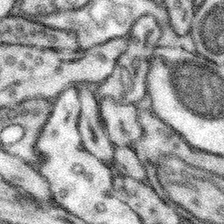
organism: Mouse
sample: Somatosensory cortex neuropil